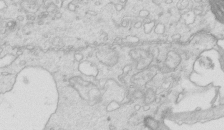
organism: Mouse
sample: Multiciliated cells